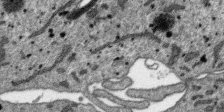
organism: Human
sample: Lung epithelial cells, uninfected (mock) control